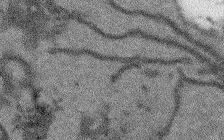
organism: Arabidopsis thaliana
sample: Root tip